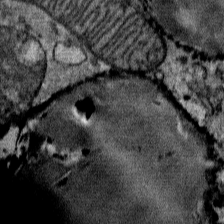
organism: Mouse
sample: Mouse Salivary gland